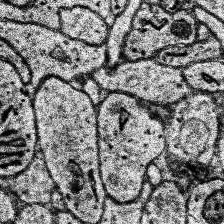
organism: Human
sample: Temporal Lobe